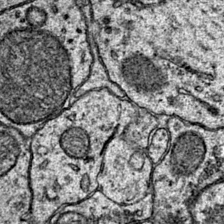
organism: Mouse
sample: Primary visual cortex